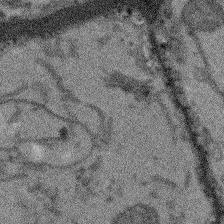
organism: Arabidopsis thaliana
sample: Root tip